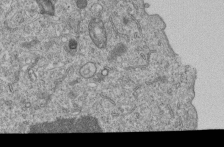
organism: Human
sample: MDA-MB-231 cells